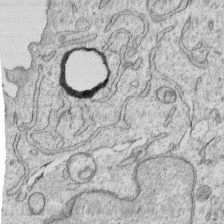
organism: Human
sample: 1205lu cells